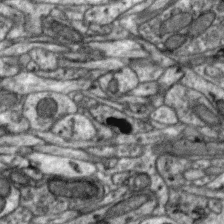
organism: Zebra finch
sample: Brain